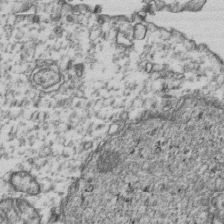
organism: Human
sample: Activated Jurkat CD4+ T cells